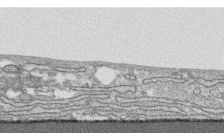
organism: Human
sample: CRL-1474